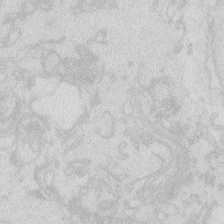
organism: Zebrafish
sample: Macrophage